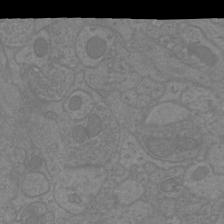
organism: Mouse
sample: Cortical neurons